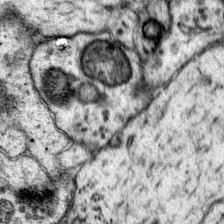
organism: Mouse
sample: Primary visual cortex